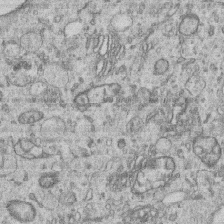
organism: Human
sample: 1205lu cells